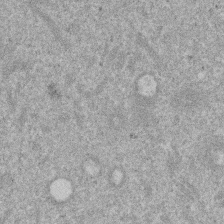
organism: Mouse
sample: Dividing mouse embryo 1 cell stage